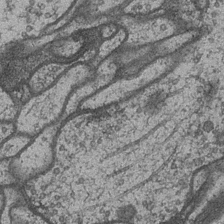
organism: Drosophila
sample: Optic medulla